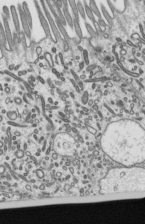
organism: Mouse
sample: Mouse epididymis efferent ductule cilia